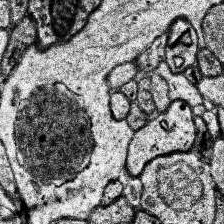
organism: Human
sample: Temporal Lobe